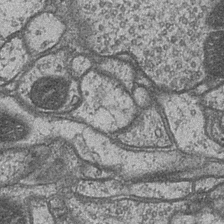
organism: Drosophila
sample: Optic medulla